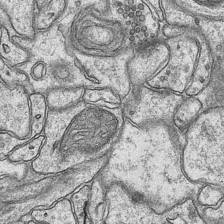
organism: Mouse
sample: CA1 Hippocampus